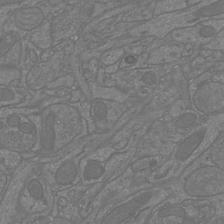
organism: Mouse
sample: Cortical neurons